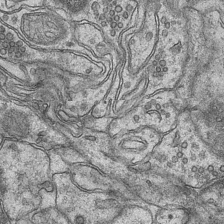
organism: Mouse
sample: CA1 Hippocampus